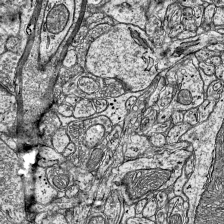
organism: Mouse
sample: Visual Cortex